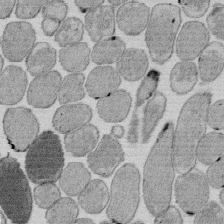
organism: E. coli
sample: Bacterial nucleoid